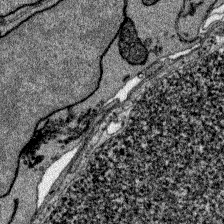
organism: Zebrafish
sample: Larval olfactory bulb